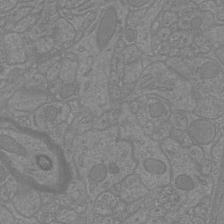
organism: Mouse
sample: Cortical neurons